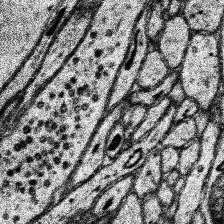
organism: Human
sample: Temporal Lobe